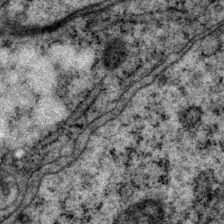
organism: P. pacificus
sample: Pharynx